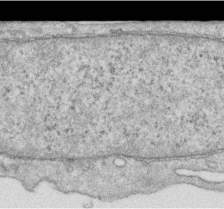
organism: Human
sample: Centriole in RPE cells